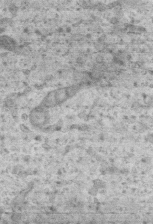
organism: Mouse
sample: Centriole in ependymal cells